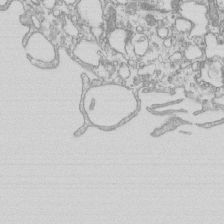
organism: Mouse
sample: Macrophages